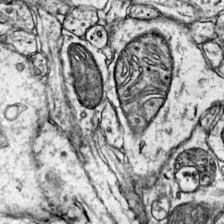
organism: Mouse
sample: Primary visual cortex